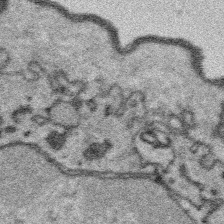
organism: Platynereis dumerilii